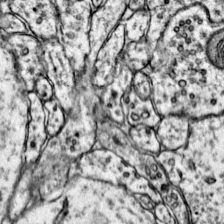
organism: Mouse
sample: Primary visual cortex